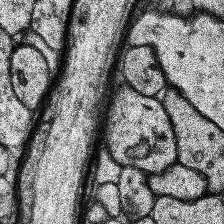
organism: Human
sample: Temporal Lobe